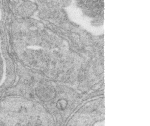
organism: Zebrafish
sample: synaptic ribbons in rod cells and cone cells